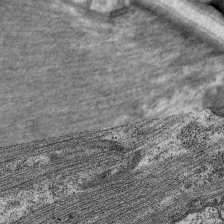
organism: C. elegans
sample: Pharynx